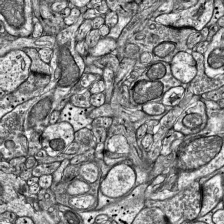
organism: Mouse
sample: Visual Cortex